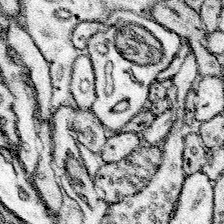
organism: Mouse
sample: Somatosensory cortex neuropil